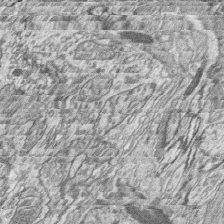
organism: Zebrafish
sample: synaptic ribbons in rod cells and cone cells